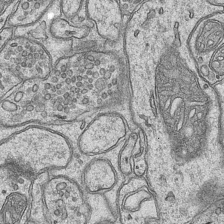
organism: Mouse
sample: CA1 Hippocampus